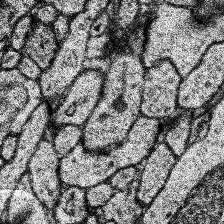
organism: Human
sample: Temporal Lobe